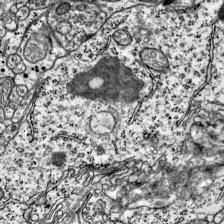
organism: Mouse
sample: Visual Cortex